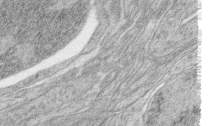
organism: Zebrafish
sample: synaptic ribbons in rod cells and cone cells